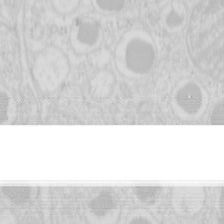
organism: Mouse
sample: Pancreas